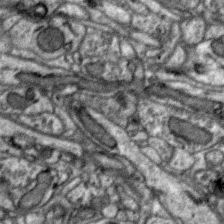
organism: Zebra finch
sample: Brain